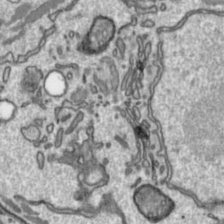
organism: Toxoplasma gondii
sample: Parasites in a vacuole inside a host cell